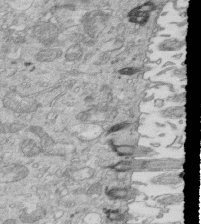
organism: Mouse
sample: Multiciliated cells